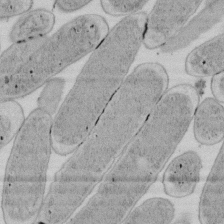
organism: E. coli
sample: Bacterial nucleoid